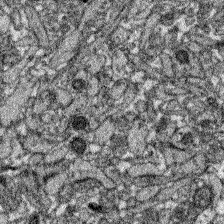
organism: Zebrafish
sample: Larval olfactory bulb